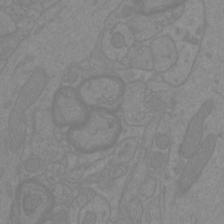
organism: Mouse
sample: Cortical neurons